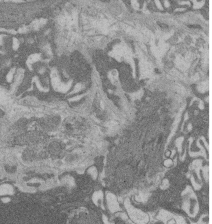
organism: Rat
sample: Salivary granule